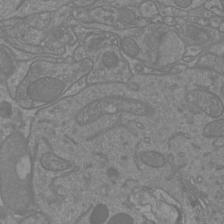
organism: Mouse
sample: Cortical neurons